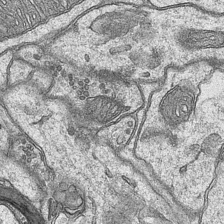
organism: Mouse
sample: CA1 Hippocampus